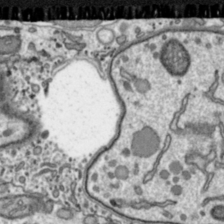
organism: Toxoplasma gondii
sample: Parasites in a vacuole inside a host cell